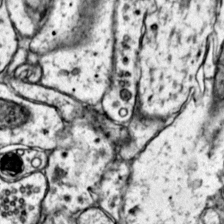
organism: Mouse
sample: Primary visual cortex